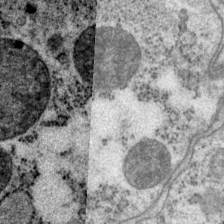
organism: P. pacificus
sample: Pharynx